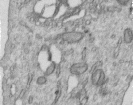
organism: Human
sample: Centriole in RPE cells